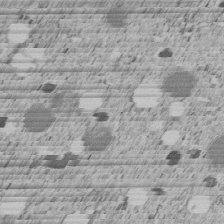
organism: C. elegans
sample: C. elegans embryo early stage